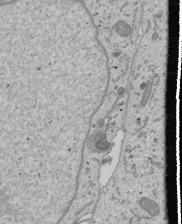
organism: Human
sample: Mitochondria in U2OS cells